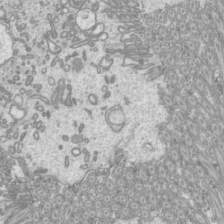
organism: Mouse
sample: Cilia; mouse epididymis